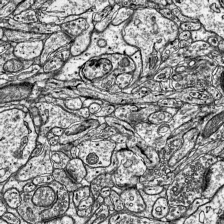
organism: Mouse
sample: Visual Cortex